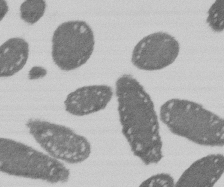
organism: E. coli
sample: Bacterial nucleoid